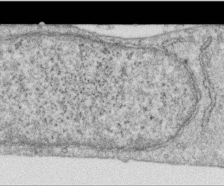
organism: Human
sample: Centriole in RPE cells